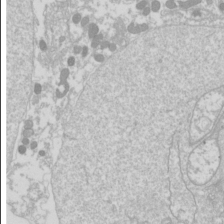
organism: Drosophila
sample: Cell division; meiosis; drosophila spermatocytes